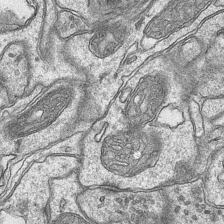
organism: Mouse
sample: CA1 Hippocampus